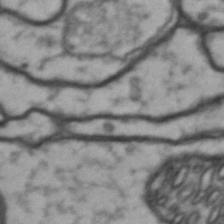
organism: Drosophila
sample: Brain